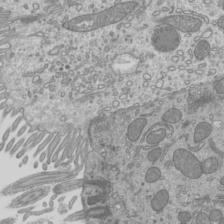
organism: Mouse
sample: Cilia; mouse epididymis